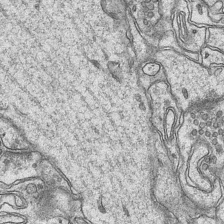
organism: Mouse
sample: CA1 Hippocampus